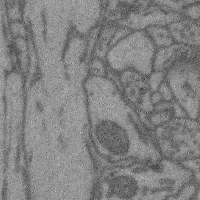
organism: Mouse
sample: Cerebral cortex